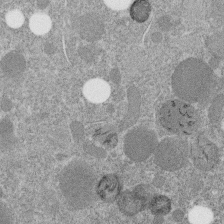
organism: C. elegans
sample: C. elegans embryo early stage